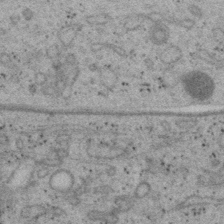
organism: Human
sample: HeLa cells